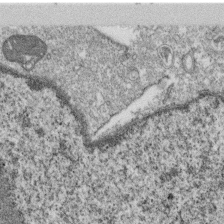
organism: African green monkey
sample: Vero E6 cells infected with SARS-CoV-2